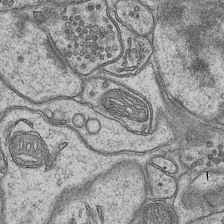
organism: Mouse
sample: CA1 Hippocampus